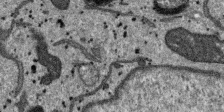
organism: Human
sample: Lung epithelial cells, uninfected (mock) control